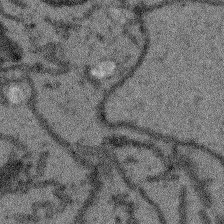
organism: Arabidopsis thaliana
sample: Root tip